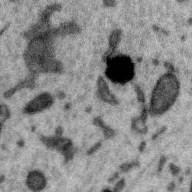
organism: Zebra finch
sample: Brain